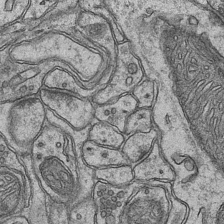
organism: Mouse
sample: CA1 Hippocampus